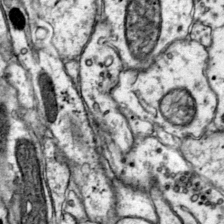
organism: Mouse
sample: Primary visual cortex